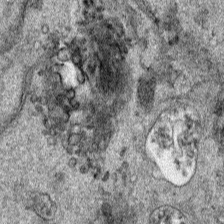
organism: Human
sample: Mitochondria in HCT116 cells